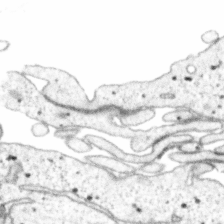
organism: Human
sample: HeLa cells